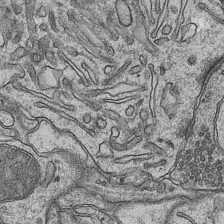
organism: Mouse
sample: CA1 Hippocampus